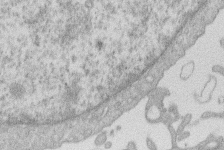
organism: Human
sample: Macrophage cells